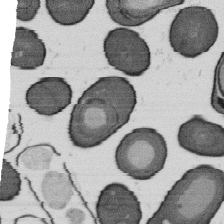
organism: B. subtilis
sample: Bacterial spore